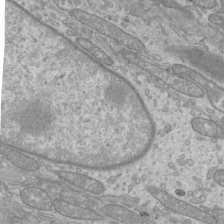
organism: Mouse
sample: Cilia; mouse epididymis